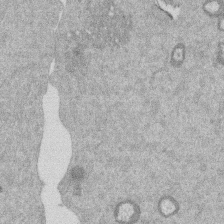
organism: Mouse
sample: Dividing mouse embryo 1 cell stage